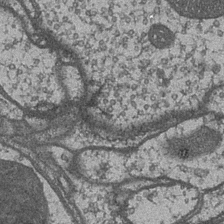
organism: Drosophila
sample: Optic medulla